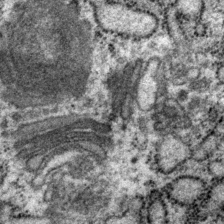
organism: P. pacificus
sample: Pharynx